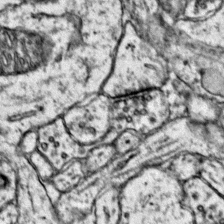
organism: Mouse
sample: Primary visual cortex